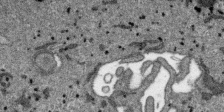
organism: Human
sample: Lung epithelial cells, uninfected (mock) control